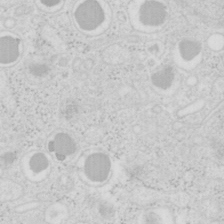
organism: Mouse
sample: Pancreas